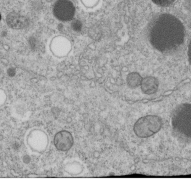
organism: C. elegans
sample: C. elegans embryo early stage